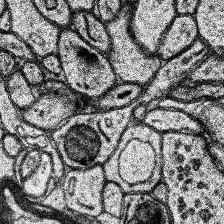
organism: Human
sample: Temporal Lobe